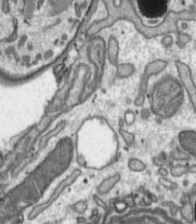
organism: Toxoplasma gondii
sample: Parasites in a vacuole inside a host cell